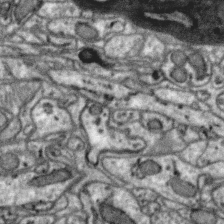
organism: Zebra finch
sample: Brain